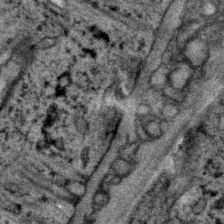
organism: C. elegans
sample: C. elegans embryo